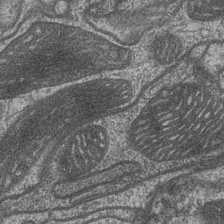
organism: Drosophila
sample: Optic medulla